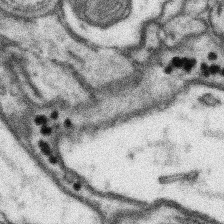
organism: Mouse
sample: Somatosensory cortex neuropil